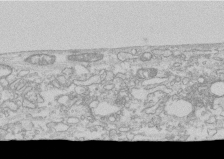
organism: Human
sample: CRL-1474